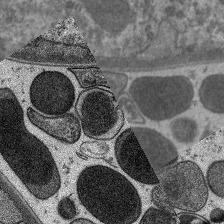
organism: C. elegans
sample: Pharynx